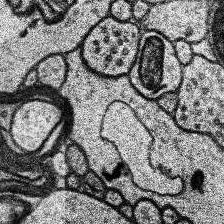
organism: Human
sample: Temporal Lobe